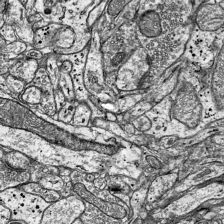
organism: Mouse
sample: Visual Cortex